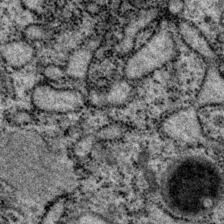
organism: P. pacificus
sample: Pharynx